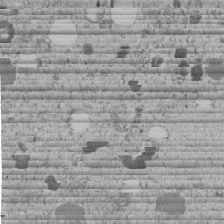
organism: C. elegans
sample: C. elegans embryo early stage